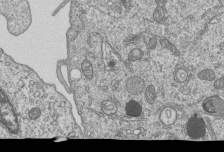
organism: Human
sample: MDA-MB-231 cells